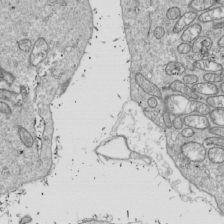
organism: Drosophila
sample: Cell division; meiosis; drosophila spermatocytes